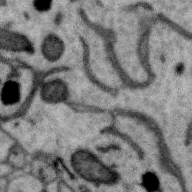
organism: Zebra finch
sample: Brain